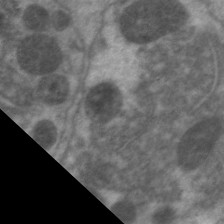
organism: C. elegans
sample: Pharynx